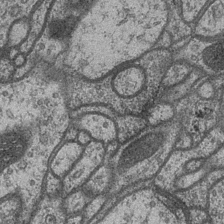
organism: Drosophila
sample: Optic medulla